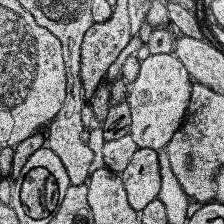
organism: Human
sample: Temporal Lobe